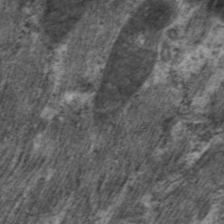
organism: C. elegans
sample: Pharynx